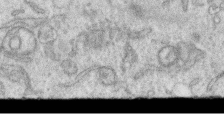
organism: Human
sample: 1205lu cells